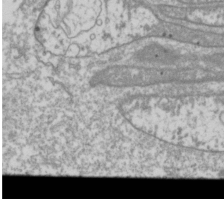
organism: Drosophila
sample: Cell division; meiosis; drosophila spermatocytes